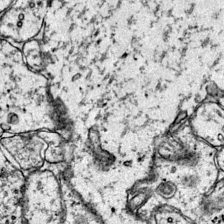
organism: Mouse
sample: Primary visual cortex